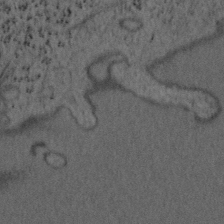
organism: Human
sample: HeLa cells